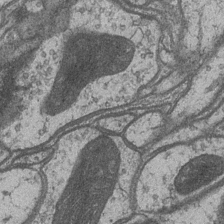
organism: Drosophila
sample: Optic medulla